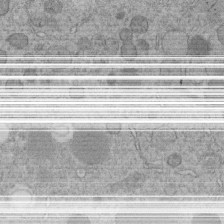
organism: C. elegans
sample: C. elegans embryo early stage